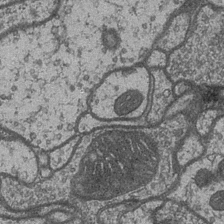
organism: Drosophila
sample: Optic medulla